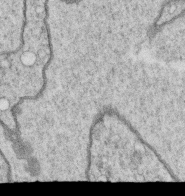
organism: C. elegans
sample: C. elegans oocyte; sperm cells